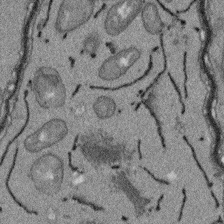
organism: Arabidopsis thaliana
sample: Root tip